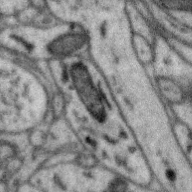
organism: Zebra finch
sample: Brain